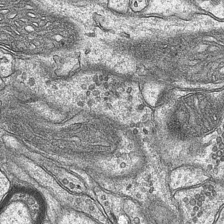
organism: Mouse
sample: CA1 Hippocampus